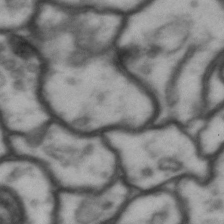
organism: Drosophila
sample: Brain